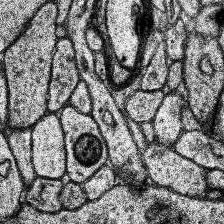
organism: Human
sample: Temporal Lobe